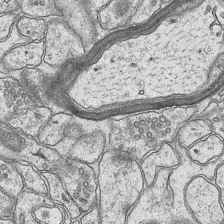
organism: Mouse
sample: CA1 Hippocampus